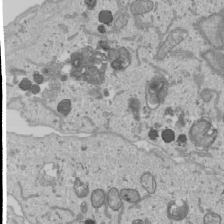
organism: Human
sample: Mitochondria in U2OS cells